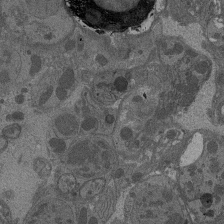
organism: Drosophila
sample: Antenna